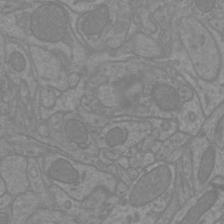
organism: Mouse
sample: Cortical neurons